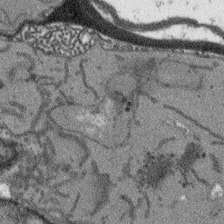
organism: Arabidopsis thaliana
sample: Root tip